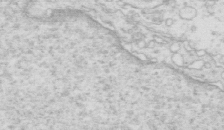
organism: Mouse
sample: Multiciliated cells